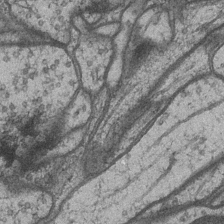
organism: Drosophila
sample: Optic medulla